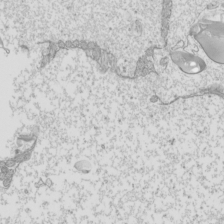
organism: Mouse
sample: Cilia; mouse epididymis